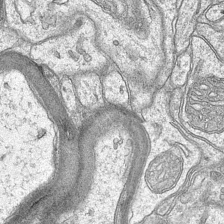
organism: Mouse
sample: CA1 Hippocampus